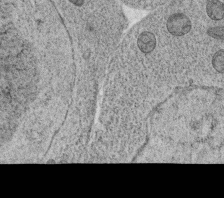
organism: C. elegans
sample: C. elegans oocyte; sperm cells